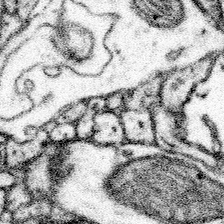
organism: Mouse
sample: Somatosensory cortex neuropil